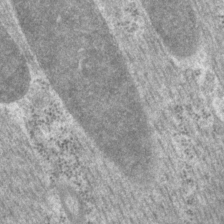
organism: P. pacificus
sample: Pharynx